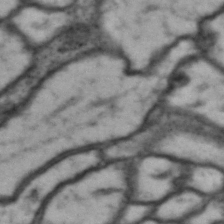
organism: Drosophila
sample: Brain